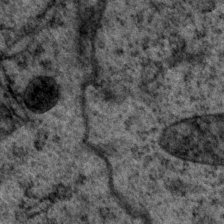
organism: P. pacificus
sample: Pharynx